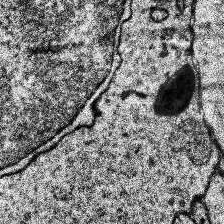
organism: Human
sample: Temporal Lobe